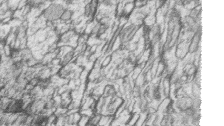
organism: Zebrafish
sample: synaptic ribbons in rod cells and cone cells